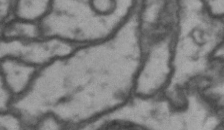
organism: Drosophila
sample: Brain